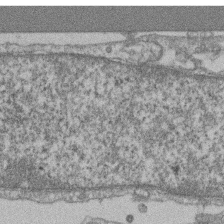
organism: Mouse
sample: T cell stromal cell synapse